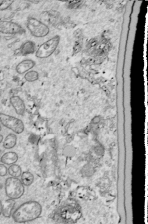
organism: Drosophila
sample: Cell division; meiosis; drosophila spermatocytes